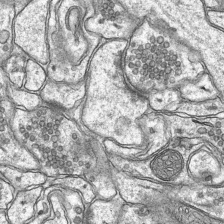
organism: Mouse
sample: CA1 Hippocampus